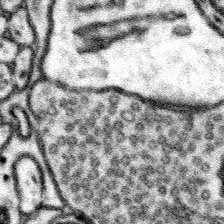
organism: Mouse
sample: Somatosensory cortex neuropil